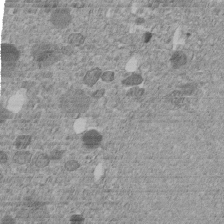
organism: C. elegans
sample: C. elegans embryo early stage